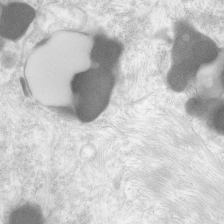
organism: Human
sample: Neocortex